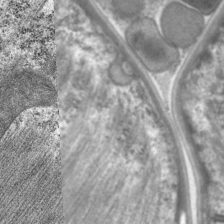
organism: C. elegans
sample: Pharynx